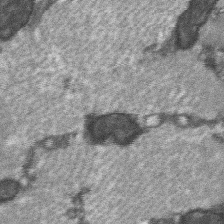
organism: C57BL Mouse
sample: Soleus